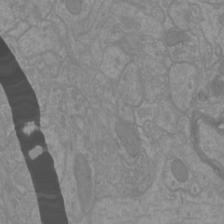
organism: Mouse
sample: Cortical neurons